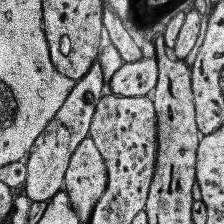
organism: Human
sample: Temporal Lobe